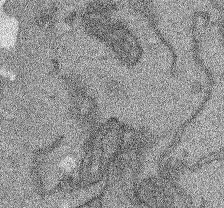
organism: Human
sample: HeLa cells